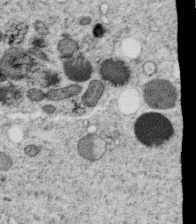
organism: C. elegans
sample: C. elegans oocyte; sperm cells